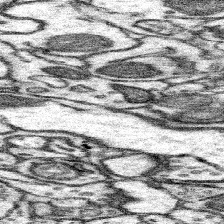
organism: Mouse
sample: Somatosensory cortex neuropil